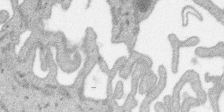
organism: Human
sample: Lung epithelial cells infected with SARS-CoV-2